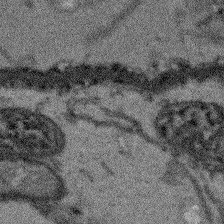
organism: Arabidopsis thaliana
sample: Root tip